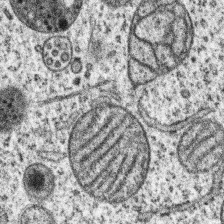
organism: Human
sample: HeLa cells